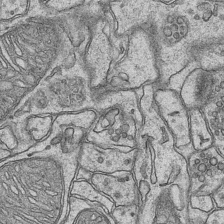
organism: Mouse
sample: CA1 Hippocampus